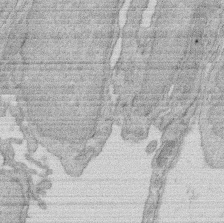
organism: Rat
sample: Salivary granule